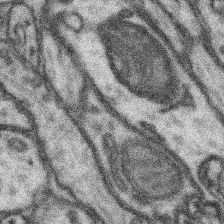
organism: Mouse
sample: Somatosensory cortex neuropil